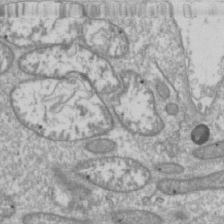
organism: Drosophila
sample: Cell division; meiosis; drosophila spermatocytes